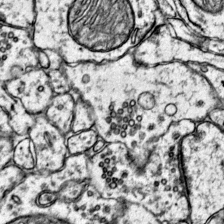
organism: Mouse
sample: Primary visual cortex